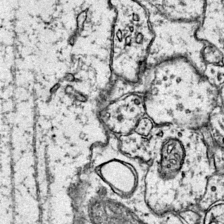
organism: Mouse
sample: Primary visual cortex